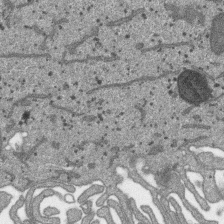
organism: Human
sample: Lung epithelial cells infected with SARS-CoV-2